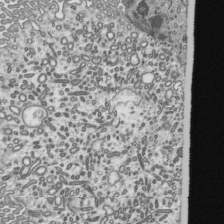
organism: Mouse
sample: Mouse epididymis efferent ductule cilia